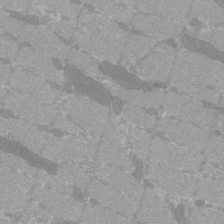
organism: C57BL Mouse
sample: Tibialis anterior muscle cell